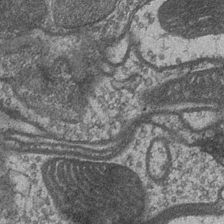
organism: Drosophila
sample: Optic medulla